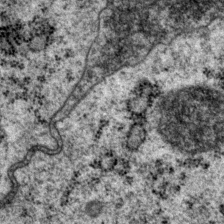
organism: P. pacificus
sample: Pharynx